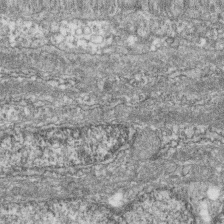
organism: Zebrafish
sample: Cilia; retinal pigment epithelium